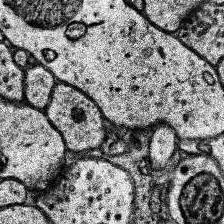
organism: Human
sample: Temporal Lobe